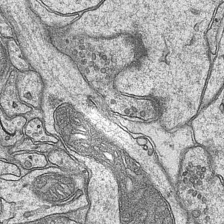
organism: Mouse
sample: CA1 Hippocampus